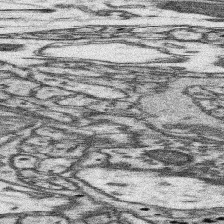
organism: Mouse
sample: Somatosensory cortex neuropil